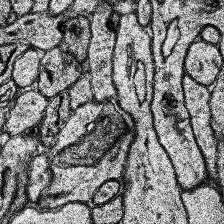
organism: Human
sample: Temporal Lobe